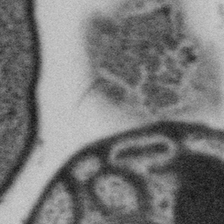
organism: Gemmata obscuriglobus